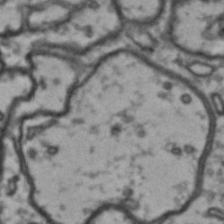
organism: Drosophila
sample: Brain